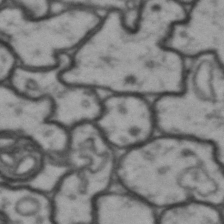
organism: Drosophila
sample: Brain